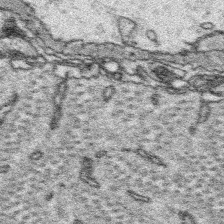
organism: Platynereis dumerilii